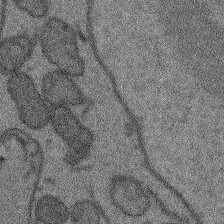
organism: Arabidopsis thaliana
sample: Root tip